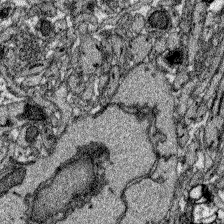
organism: Zebrafish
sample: Larval olfactory bulb